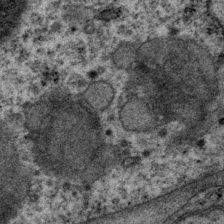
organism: P. pacificus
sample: Pharynx